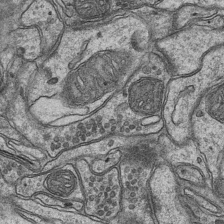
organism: Mouse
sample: CA1 Hippocampus